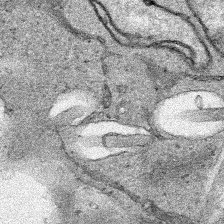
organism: Human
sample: Mitochondria in HCT116 cells